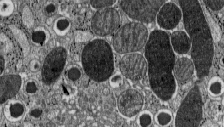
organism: C57BL Mouse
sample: Pancreatic islet